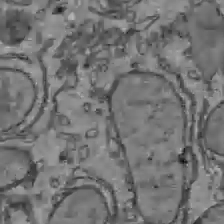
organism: C57BL Mouse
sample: Liver